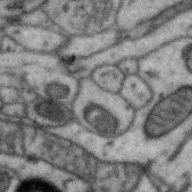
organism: Zebra finch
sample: Brain